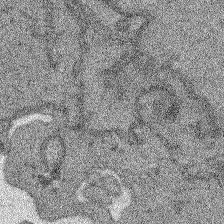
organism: Human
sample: HeLa cells